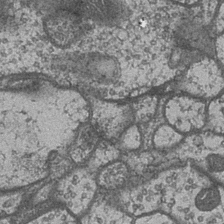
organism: Drosophila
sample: Optic medulla